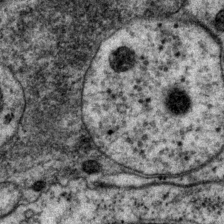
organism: P. pacificus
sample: Pharynx